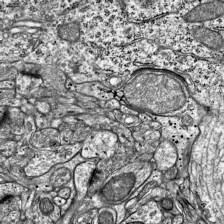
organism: Mouse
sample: Visual Cortex